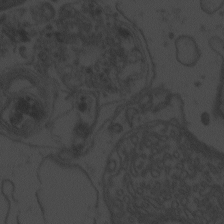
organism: Zebrafish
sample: Macrophage infected with Toxoplasma gondii